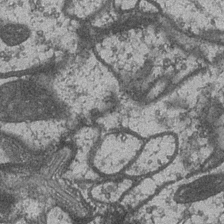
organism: Drosophila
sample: Optic medulla